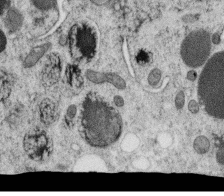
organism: C. elegans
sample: C. elegans oocyte; sperm cells